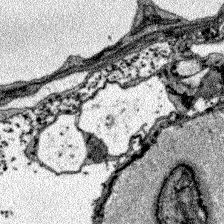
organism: Zebrafish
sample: Larval olfactory bulb